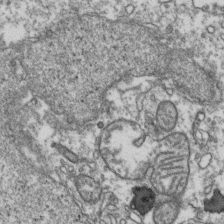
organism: Human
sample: Activated Jurkat CD4+ T cells